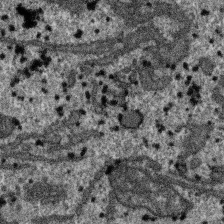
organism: Human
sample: Lung epithelial cells infected with SARS-CoV-2